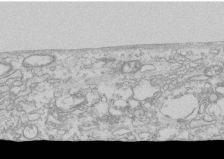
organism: Human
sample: CRL-1474